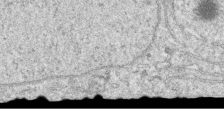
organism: Human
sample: HeLa cell HIV synapse